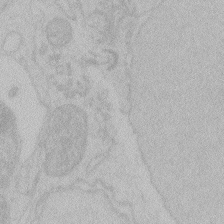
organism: Zebrafish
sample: Macrophage infected with Toxoplasma gondii